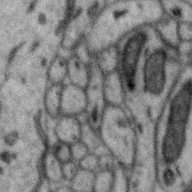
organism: Zebra finch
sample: Brain